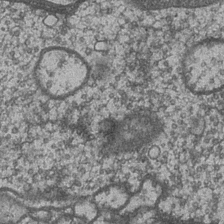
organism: Drosophila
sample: Optic medulla